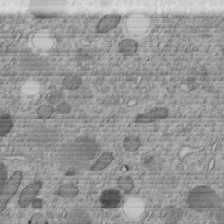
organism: C. elegans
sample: C. elegans embryo early stage